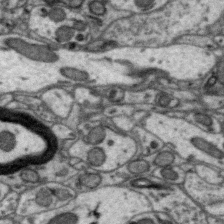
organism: Zebra finch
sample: Brain